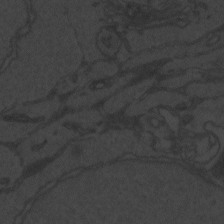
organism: Zebrafish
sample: Macrophage infected with Toxoplasma gondii